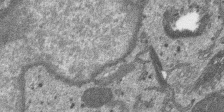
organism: Human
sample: Lung epithelial cells infected with SARS-CoV-2